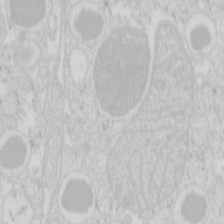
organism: Mouse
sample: Pancreas